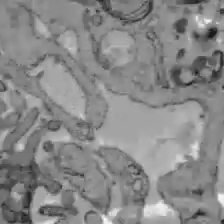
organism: C57BL Mouse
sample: Liver